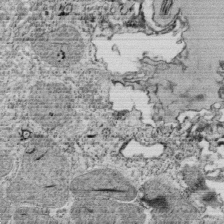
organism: Tetrahymena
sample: Cilia in tetrahymena